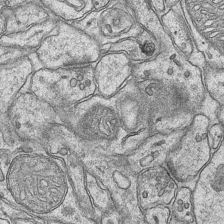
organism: Mouse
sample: CA1 Hippocampus